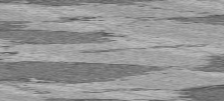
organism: C57BL Mouse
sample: Heart